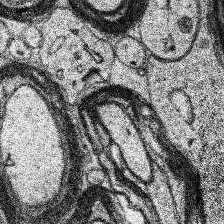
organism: Human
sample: Temporal Lobe